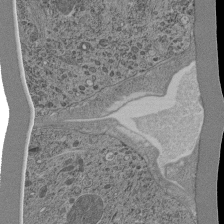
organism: C. elegans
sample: C. elegans pharynx